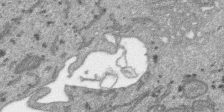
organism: Human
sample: Lung epithelial cells infected with SARS-CoV-2